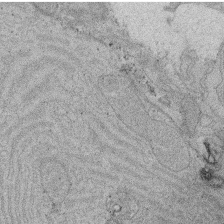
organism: Rat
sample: Salivary granule